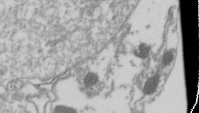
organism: Drosophila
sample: Cell division; meiosis; drosophila spermatocytes